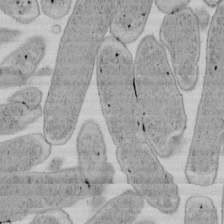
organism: E. coli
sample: Bacterial nucleoid